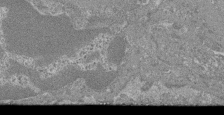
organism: Mouse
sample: Glomerulus